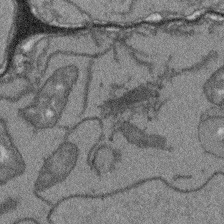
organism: Arabidopsis thaliana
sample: Root tip